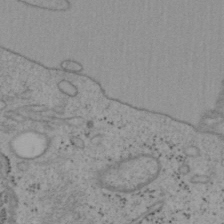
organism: Human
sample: HeLa cells